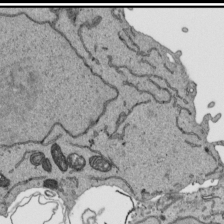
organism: Human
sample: Mitochondria in HCT116 cells